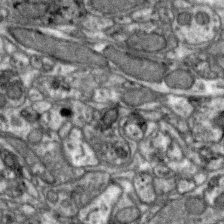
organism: Zebra finch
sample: Brain